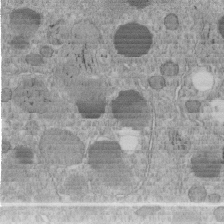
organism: C. elegans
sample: C. elegans embryo early stage